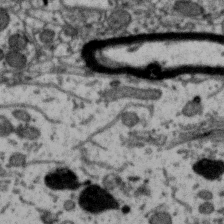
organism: Zebra finch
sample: Brain